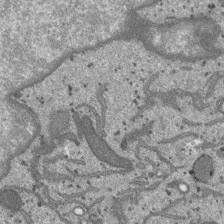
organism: Human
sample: Lung epithelial cells infected with SARS-CoV-2